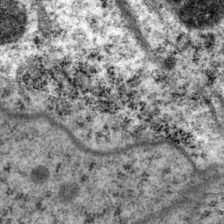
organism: P. pacificus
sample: Pharynx